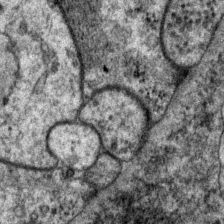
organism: P. pacificus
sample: Pharynx